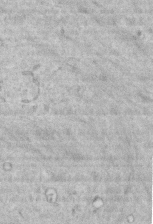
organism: Mouse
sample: Centriole in ependymal cells